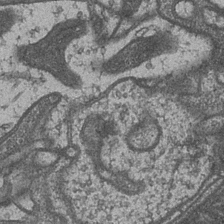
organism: Drosophila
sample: Optic medulla